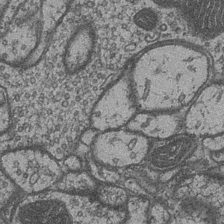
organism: Drosophila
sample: Optic medulla